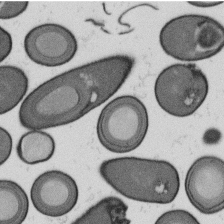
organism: B. subtilis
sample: Bacterial spore